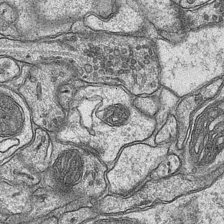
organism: Mouse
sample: CA1 Hippocampus